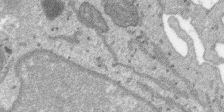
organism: Human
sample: Lung epithelial cells infected with SARS-CoV-2